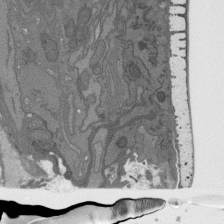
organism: C. elegans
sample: AFD neurons C. elegans